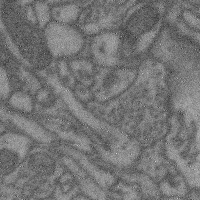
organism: Mouse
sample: Cerebral cortex